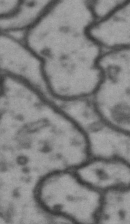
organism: Drosophila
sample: Brain